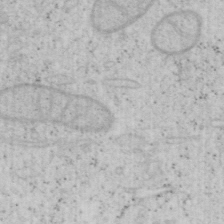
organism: Human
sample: HeLa cells